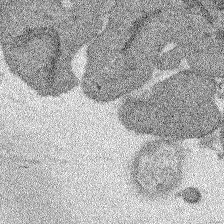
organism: Human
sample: HeLa cells